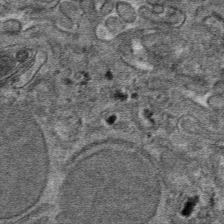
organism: Mouse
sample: Mouse hepatocytes